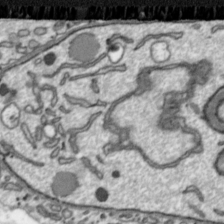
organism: Toxoplasma gondii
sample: Parasites in a vacuole inside a host cell